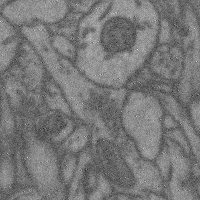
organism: Mouse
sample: Cerebral cortex